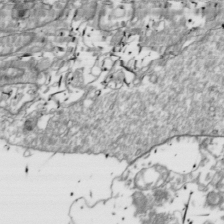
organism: Drosophila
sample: Cell division; meiosis; drosophila spermatocytes